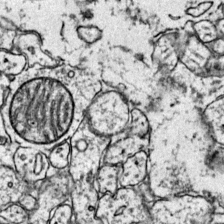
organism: Mouse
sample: Primary visual cortex